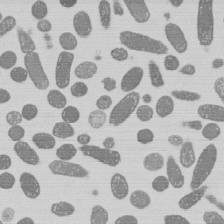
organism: E. coli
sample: Bacterial nucleoid